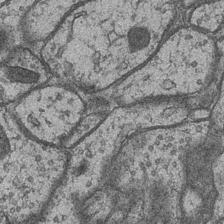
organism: Drosophila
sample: Optic medulla